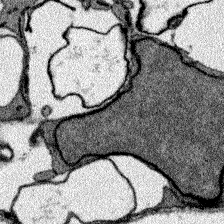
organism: Zebrafish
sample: Larval olfactory bulb